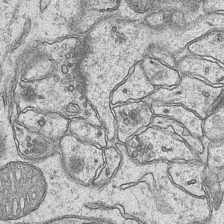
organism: Mouse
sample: CA1 Hippocampus